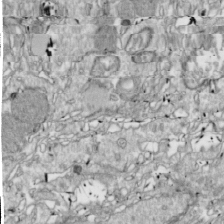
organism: Drosophila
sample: Cell division; meiosis; drosophila spermatocytes